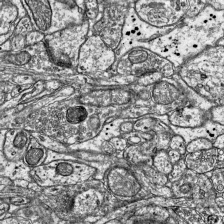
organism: Mouse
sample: Visual Cortex